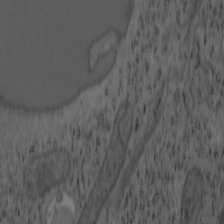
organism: Human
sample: HeLa cells